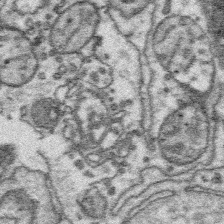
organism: Platynereis dumerilii